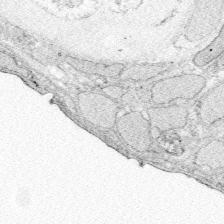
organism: Zebrafish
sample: Whole-Brain